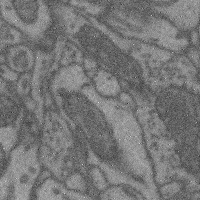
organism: Mouse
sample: Cerebral cortex